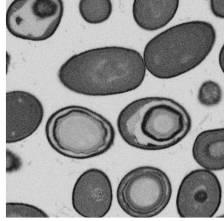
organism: B. subtilis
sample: Bacterial spore